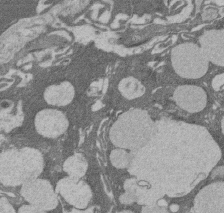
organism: Rat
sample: Salivary granule